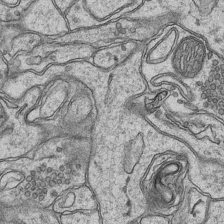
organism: Mouse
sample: CA1 Hippocampus